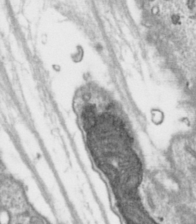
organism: Toxoplasma gondii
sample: Parasites in a vacuole inside a host cell